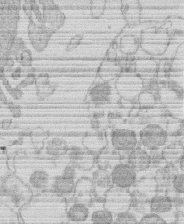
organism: Human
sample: Macrophage cells